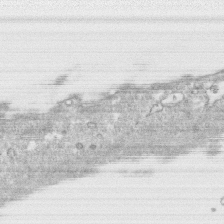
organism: Human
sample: CRL-1474